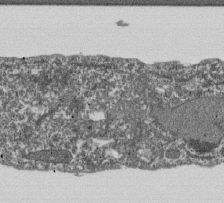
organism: Dictyostelium discoideum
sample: Dictyostelium multivesicular bodies